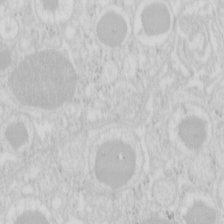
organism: Mouse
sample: Pancreas